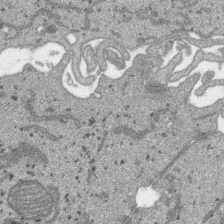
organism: Human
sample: Lung epithelial cells infected with SARS-CoV-2